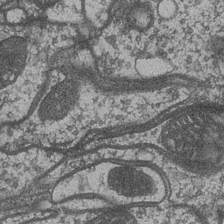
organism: Drosophila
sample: Optic medulla